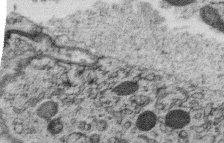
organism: C. elegans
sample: C. elegans oocyte; sperm cells